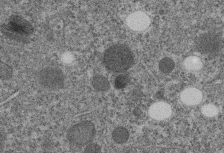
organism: C. elegans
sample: C. elegans embryo early stage